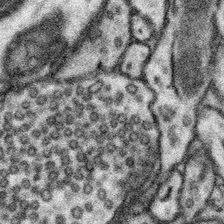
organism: Mouse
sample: Somatosensory cortex neuropil